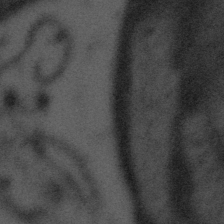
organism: Tuwongella immobilis